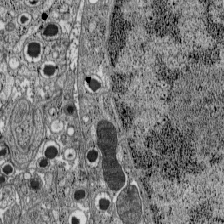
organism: C57BL Mouse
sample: Pancreatic islet